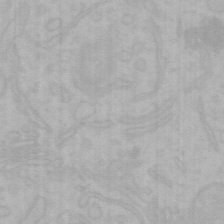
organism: Mouse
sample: Choroid plexus